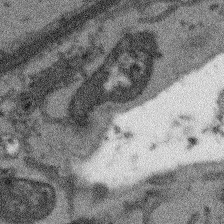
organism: Arabidopsis thaliana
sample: Root tip